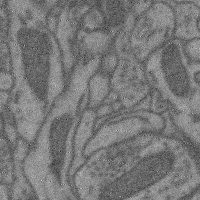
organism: Mouse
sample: Cerebral cortex